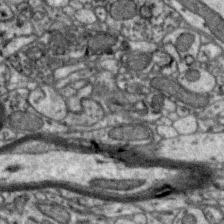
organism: Zebra finch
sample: Brain